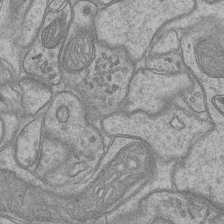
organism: Mouse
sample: CA1 Hippocampus